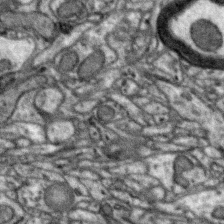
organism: Zebra finch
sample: Brain